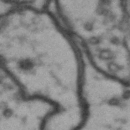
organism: Drosophila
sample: Brain